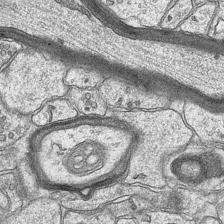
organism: Mouse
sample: CA1 Hippocampus